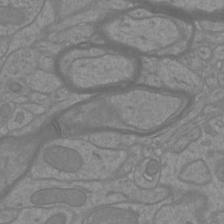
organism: Mouse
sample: Cortical neurons